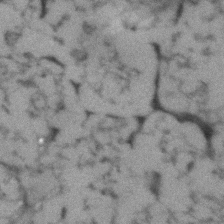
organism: Human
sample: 1205lu cells